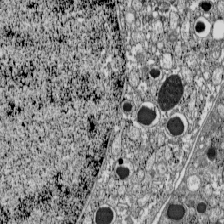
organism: C57BL Mouse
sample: Pancreatic islet